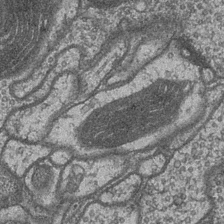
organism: Drosophila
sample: Optic medulla